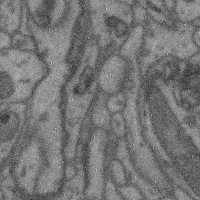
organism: Mouse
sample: Cerebral cortex